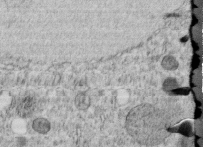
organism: C. elegans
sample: C. elegans embryo early stage